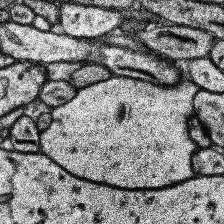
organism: Human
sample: Temporal Lobe